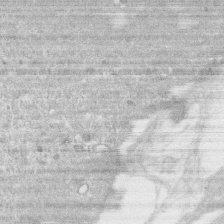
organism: Human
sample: CRL-1474